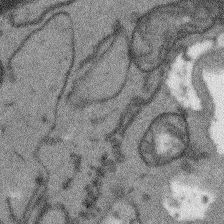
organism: Arabidopsis thaliana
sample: Root tip